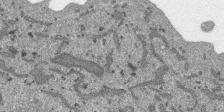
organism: Human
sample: Lung epithelial cells infected with SARS-CoV-2